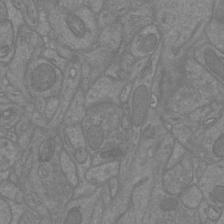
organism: Mouse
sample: Cortical neurons